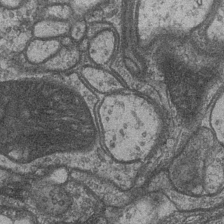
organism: Drosophila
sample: Optic medulla